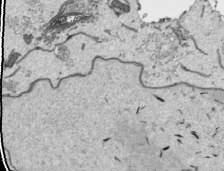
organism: Human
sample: Mitochondria in HCT116 cells